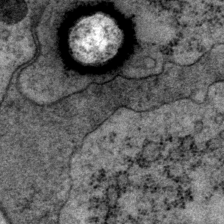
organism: P. pacificus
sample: Pharynx